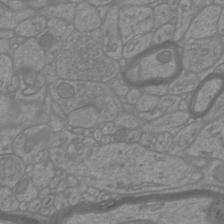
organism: Mouse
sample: Cortical neurons